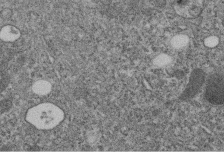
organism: C. elegans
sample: C. elegans embryo early stage